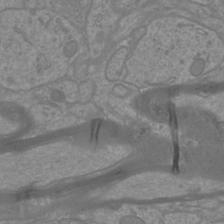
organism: Mouse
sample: Cortical neurons